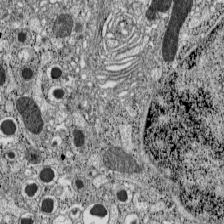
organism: C57BL Mouse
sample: Pancreatic islet